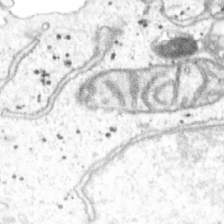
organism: Human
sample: HeLa cells